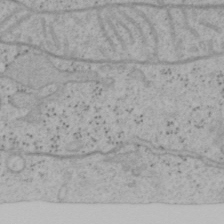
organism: Human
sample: HeLa cells